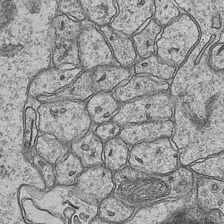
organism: Mouse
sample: CA1 Hippocampus